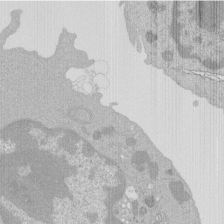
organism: Mouse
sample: Activated Pmel transgenic CD8+ T Cells